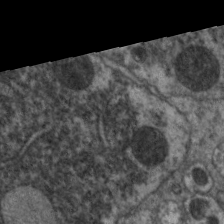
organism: C. elegans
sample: Pharynx